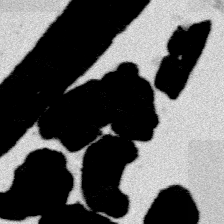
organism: Platynereis dumerilii